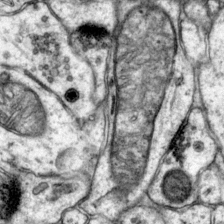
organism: Mouse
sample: Primary visual cortex